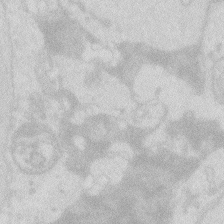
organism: Zebrafish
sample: Macrophage